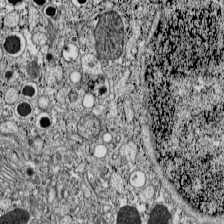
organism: C57BL Mouse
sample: Pancreatic islet